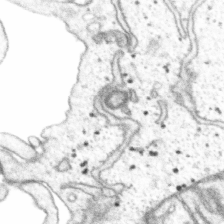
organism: Human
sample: HeLa cells